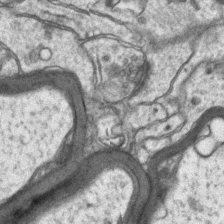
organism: Mouse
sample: CA1 Hippocampus